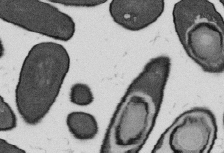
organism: B. subtilis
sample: Bacterial spore